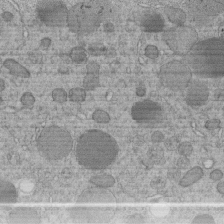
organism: C. elegans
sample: C. elegans embryo early stage